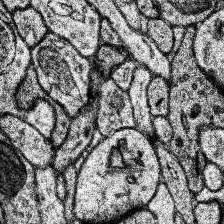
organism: Human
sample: Temporal Lobe